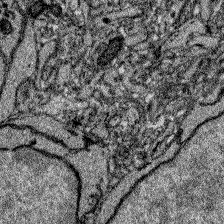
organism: Zebrafish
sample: Larval olfactory bulb